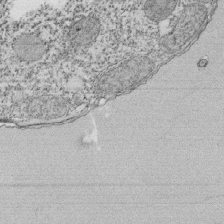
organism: Tetrahymena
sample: Cilia in tetrahymena